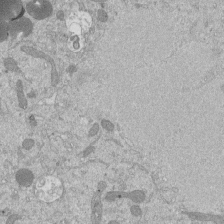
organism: Mouse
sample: ED-1 cell nuclei; centrioles